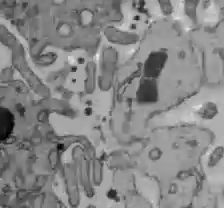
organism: C57BL Mouse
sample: Liver